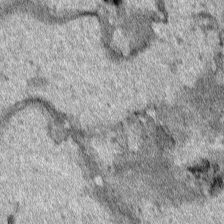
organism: Human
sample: Mitochondria in HCT116 cells